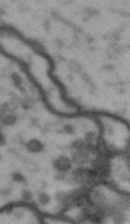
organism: Drosophila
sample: Brain